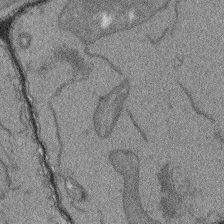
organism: Arabidopsis thaliana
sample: Root tip